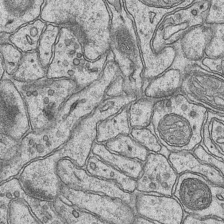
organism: Mouse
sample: CA1 Hippocampus